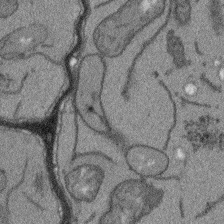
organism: Arabidopsis thaliana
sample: Root tip